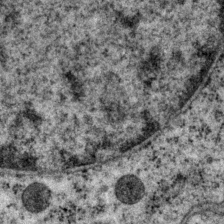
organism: P. pacificus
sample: Pharynx